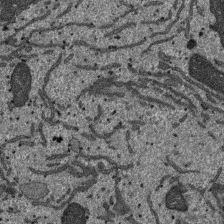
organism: Human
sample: Lung epithelial cells infected with SARS-CoV-2